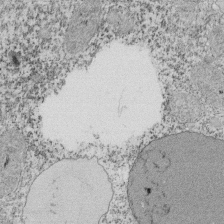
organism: Tetrahymena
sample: Cilia in tetrahymena